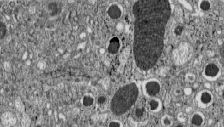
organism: C57BL Mouse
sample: Pancreatic islet